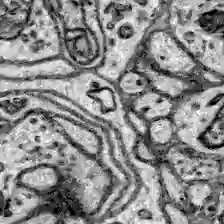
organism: Zebrafish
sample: Brain